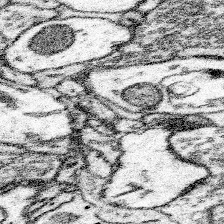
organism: Mouse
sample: Somatosensory cortex neuropil